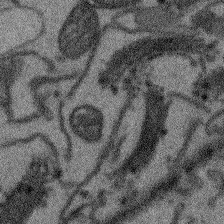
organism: Arabidopsis thaliana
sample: Root tip